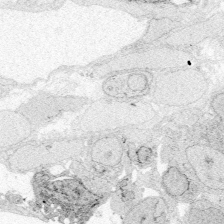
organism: Zebrafish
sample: Whole-Brain